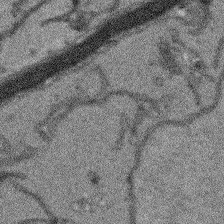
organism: Arabidopsis thaliana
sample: Root tip